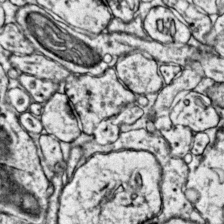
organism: Mouse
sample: Primary visual cortex